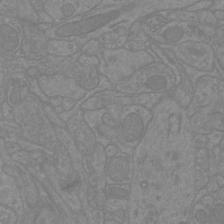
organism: Mouse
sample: Cortical neurons